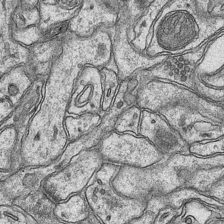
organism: Mouse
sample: CA1 Hippocampus